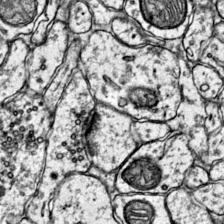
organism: Mouse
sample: Primary visual cortex